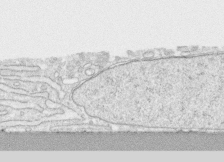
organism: Human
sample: CRL-1474